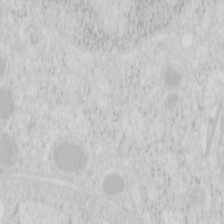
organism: Mouse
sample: Pancreas